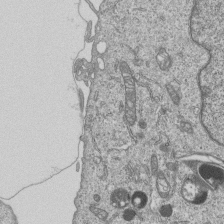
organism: Human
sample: MDA-MB-231 cells